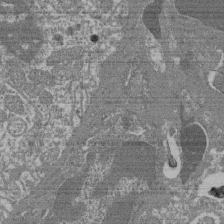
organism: Mouse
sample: Glomerulus